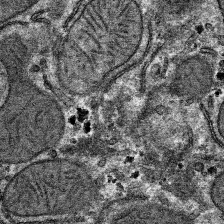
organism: Mouse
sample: Mouse hepatocytes